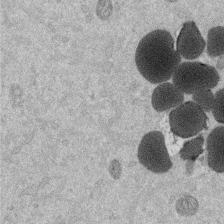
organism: Mouse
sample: Dividing mouse embryo 1 cell stage